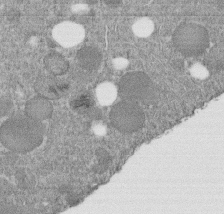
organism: C. elegans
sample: C. elegans embryo early stage